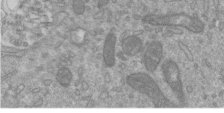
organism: Mouse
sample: ED-1 cell nuclei; centrioles